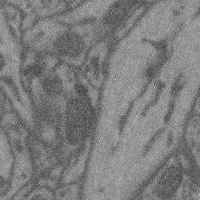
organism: Mouse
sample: Cerebral cortex